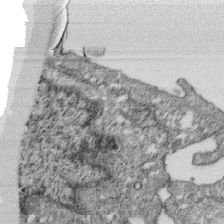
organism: African green monkey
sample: Vero E6 cells infected with SARS-CoV-2